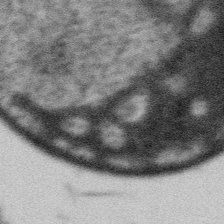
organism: Gemmata obscuriglobus